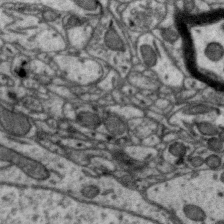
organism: Zebra finch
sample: Brain